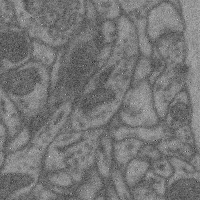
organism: Mouse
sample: Cerebral cortex